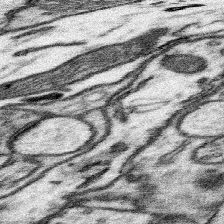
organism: Mouse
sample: Somatosensory cortex neuropil